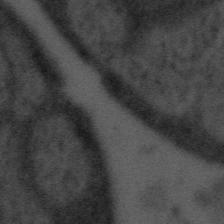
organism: Tuwongella immobilis